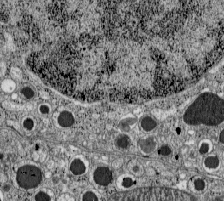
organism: C57BL Mouse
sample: Pancreatic islet